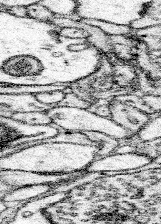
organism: Mouse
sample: Somatosensory cortex neuropil